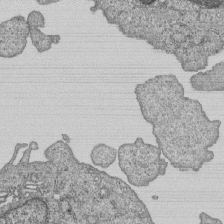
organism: Human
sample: MDA-MB-231 cells